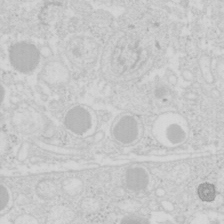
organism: Mouse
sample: Pancreas